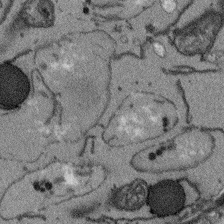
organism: Arabidopsis thaliana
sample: Root tip